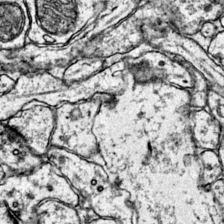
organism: Mouse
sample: Primary visual cortex